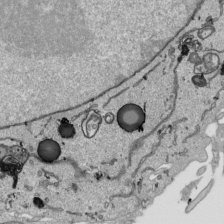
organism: Human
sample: Mitochondria in HCT116 cells